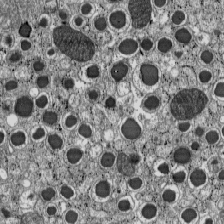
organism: C57BL Mouse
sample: Pancreatic islet